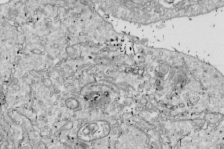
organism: Drosophila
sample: Cell division; meiosis; drosophila spermatocytes